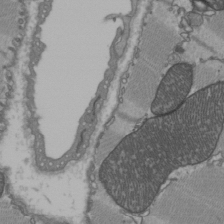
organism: C57BL Mouse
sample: Heart